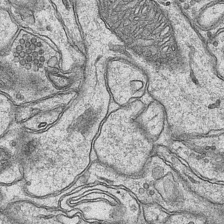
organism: Mouse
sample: CA1 Hippocampus